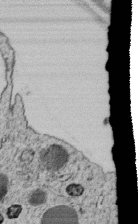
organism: C. elegans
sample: C. elegans embryo early stage